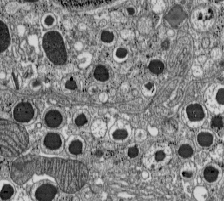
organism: C57BL Mouse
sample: Pancreatic islet